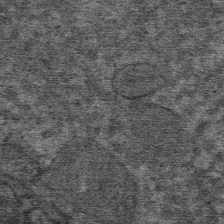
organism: Mouse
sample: Mouse Salivary gland